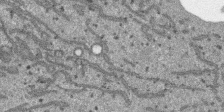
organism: Human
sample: Lung epithelial cells infected with SARS-CoV-2